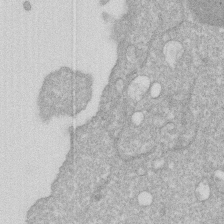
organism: Human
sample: HIV infected U937 cells